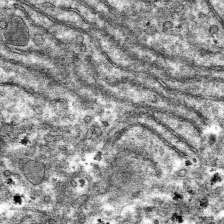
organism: Mouse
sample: Mouse hepatocytes